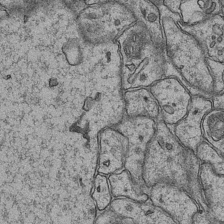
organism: Mouse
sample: CA1 Hippocampus